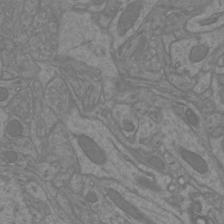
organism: Mouse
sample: Cortical neurons